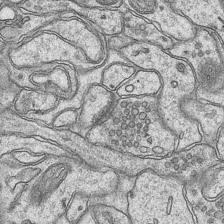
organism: Mouse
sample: CA1 Hippocampus